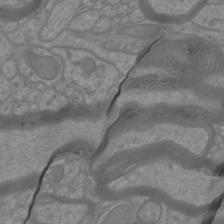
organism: Mouse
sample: Cortical neurons